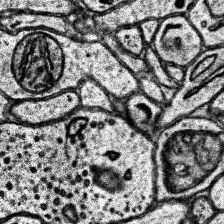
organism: Human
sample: Temporal Lobe